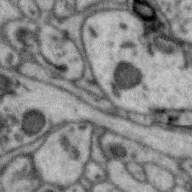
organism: Zebra finch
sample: Brain